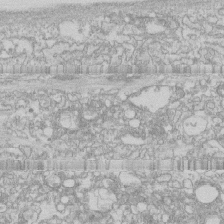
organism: Human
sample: CRL-1474